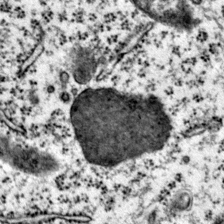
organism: Mouse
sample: Primary visual cortex